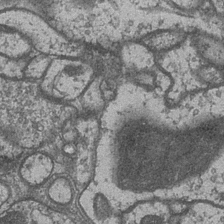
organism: Drosophila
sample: Optic medulla